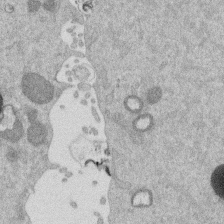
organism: Mouse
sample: Dividing mouse embryo 1 cell stage